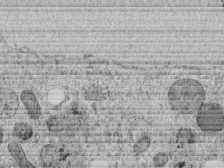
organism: C. elegans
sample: C. elegans embryo early stage